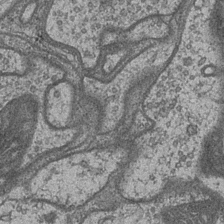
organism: Drosophila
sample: Optic medulla